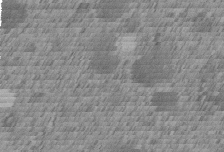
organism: C. elegans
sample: C. elegans embryo early stage